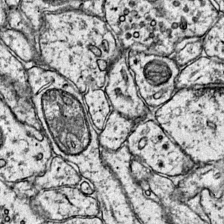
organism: Mouse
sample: Primary visual cortex